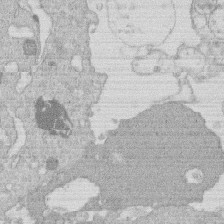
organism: Human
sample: Macrophage cells